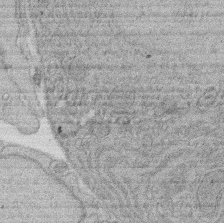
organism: Rat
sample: Salivary granule